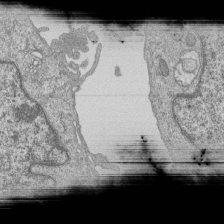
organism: Human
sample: MDA-MB-231 cells